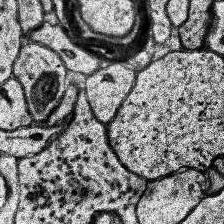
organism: Human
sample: Temporal Lobe